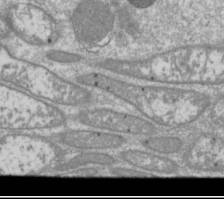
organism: Drosophila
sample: Cell division; meiosis; drosophila spermatocytes